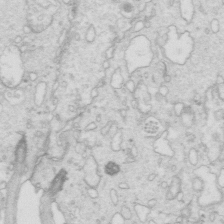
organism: Mouse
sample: Multiciliated cells